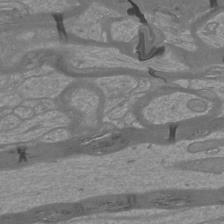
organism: Mouse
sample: Cortical neurons